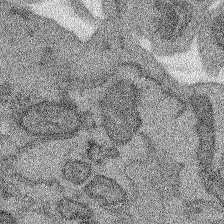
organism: Human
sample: HeLa cells